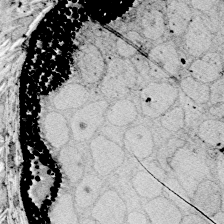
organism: Zebrafish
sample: Whole-Brain